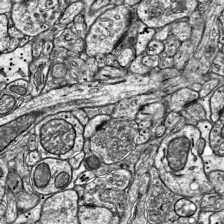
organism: Mouse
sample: Visual Cortex